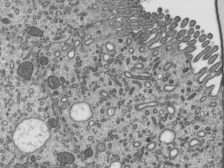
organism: Mouse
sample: Mouse epididymis efferent ductule cilia